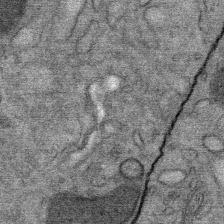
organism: Mouse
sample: Mouse Salivary gland